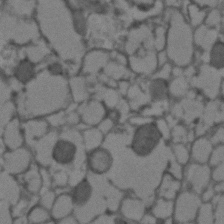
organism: C. elegans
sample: C. elegans embryo